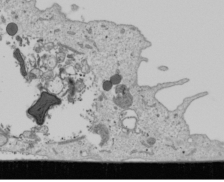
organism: Human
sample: Mitochondria in U2OS cells